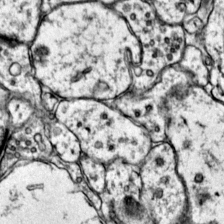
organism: Mouse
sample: Primary visual cortex